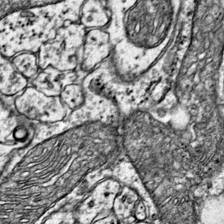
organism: Mouse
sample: Primary visual cortex